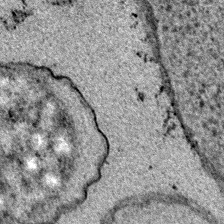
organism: E. coli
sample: E. Coli Bacteria